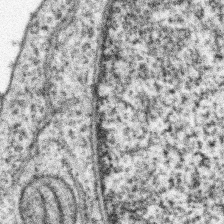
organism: Human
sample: HeLa cells